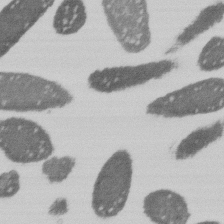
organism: E. coli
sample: Bacterial nucleoid